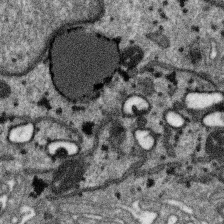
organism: Human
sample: Lung epithelial cells infected with SARS-CoV-2